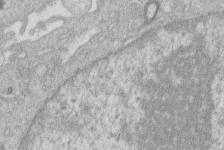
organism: Human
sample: Macrophage cells